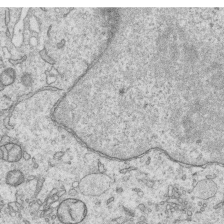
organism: Human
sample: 1205lu cells